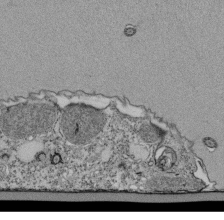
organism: Tetrahymena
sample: Cilia in tetrahymena